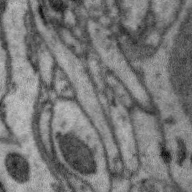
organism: Zebra finch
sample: Brain